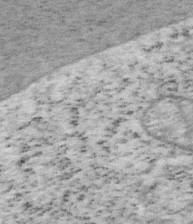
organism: Mouse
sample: OT-I killer T cells with ID8 ovarian cancer cells